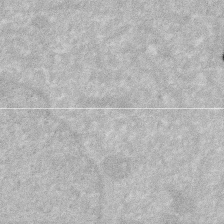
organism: Human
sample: HIV infected U937 cells